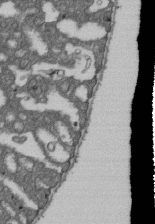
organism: Drosophila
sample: Nephrocyte